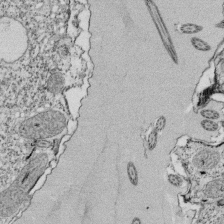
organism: Tetrahymena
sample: Cilia in tetrahymena